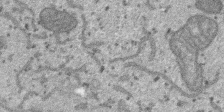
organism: Human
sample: Lung epithelial cells infected with SARS-CoV-2